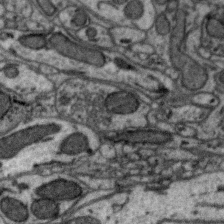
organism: Zebra finch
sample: Brain